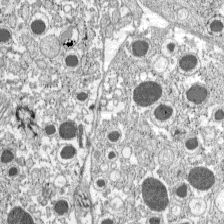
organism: C57BL Mouse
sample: Pancreatic islet